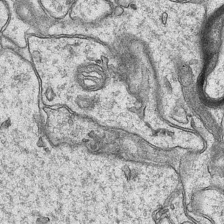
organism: Mouse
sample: CA1 Hippocampus